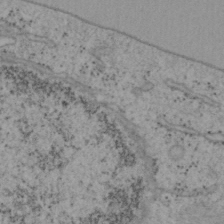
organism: Human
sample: HeLa cells